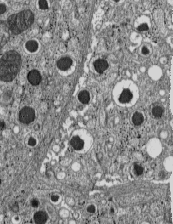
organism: C57BL Mouse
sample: Pancreatic islet